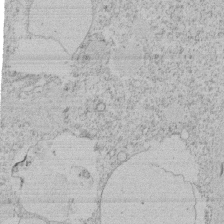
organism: Tetrahymena